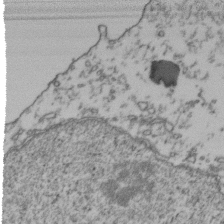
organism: Human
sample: Activated Jurkat CD4+ T cells